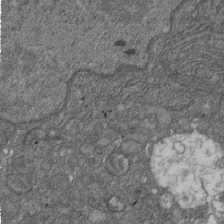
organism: Drosophila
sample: Nephrocyte